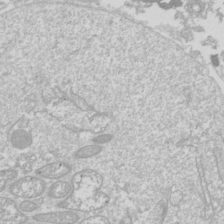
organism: Drosophila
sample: Cell division; meiosis; drosophila spermatocytes